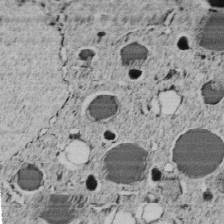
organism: C. elegans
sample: C. elegans embryo early stage